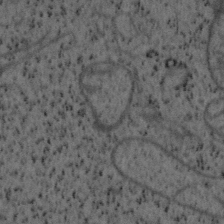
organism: Human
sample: HeLa cells